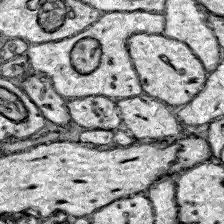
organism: Zebrafish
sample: Brain